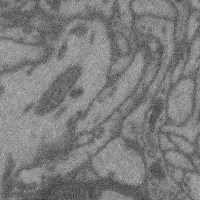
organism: Mouse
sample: Cerebral cortex